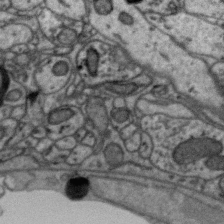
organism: Zebra finch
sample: Brain